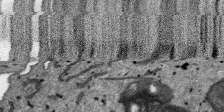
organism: Human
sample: Lung epithelial cells, uninfected (mock) control